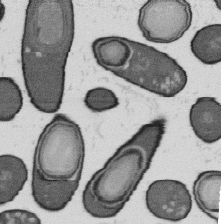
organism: B. subtilis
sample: Bacterial spore